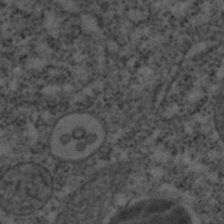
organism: C. elegans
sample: C. elegans embryo